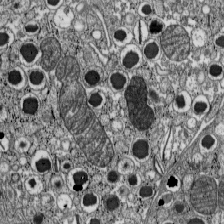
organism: C57BL Mouse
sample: Pancreatic islet